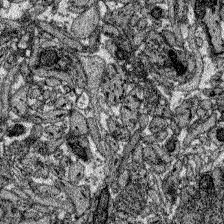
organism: Zebrafish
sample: Larval olfactory bulb